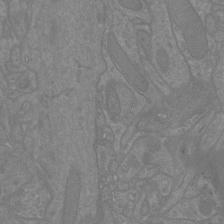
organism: Mouse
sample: Cortical neurons